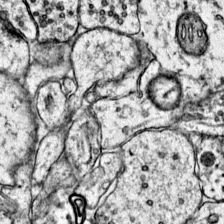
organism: Mouse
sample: Primary visual cortex